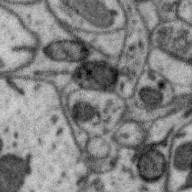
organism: Zebra finch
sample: Brain